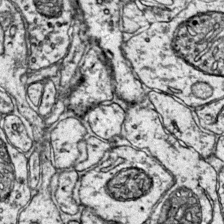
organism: Mouse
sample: Primary visual cortex